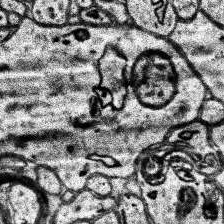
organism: Human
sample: Temporal Lobe